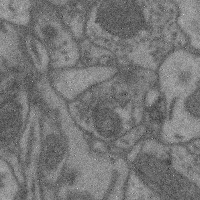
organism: Mouse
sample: Cerebral cortex